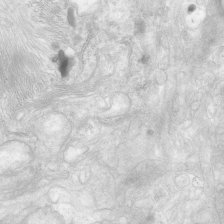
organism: Human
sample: Neocortex